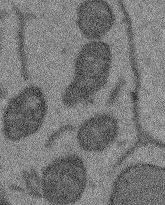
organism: Arabidopsis thaliana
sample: Root tip